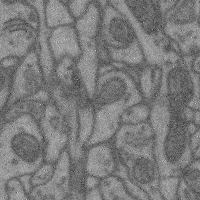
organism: Mouse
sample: Cerebral cortex